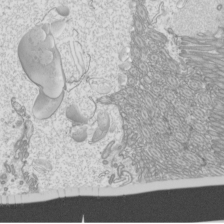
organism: Mouse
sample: Cilia; mouse epididymis